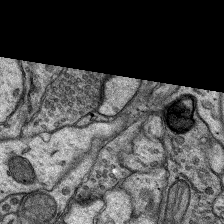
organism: Rat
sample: Hippocampus